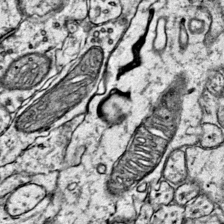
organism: Mouse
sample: Primary visual cortex